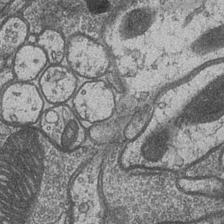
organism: Drosophila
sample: Optic medulla